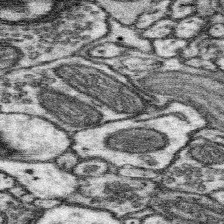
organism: Mouse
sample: Somatosensory cortex neuropil